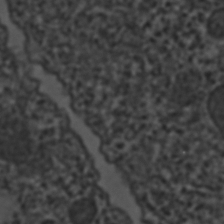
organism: C. elegans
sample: C. elegans embryo